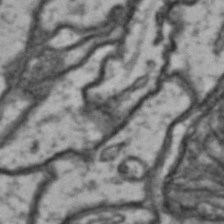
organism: Drosophila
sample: Brain